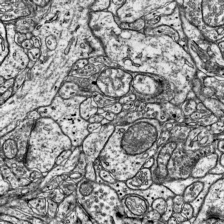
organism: Mouse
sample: Visual Cortex